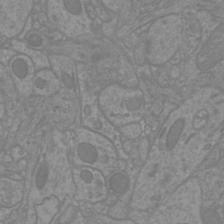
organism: Mouse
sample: Cortical neurons